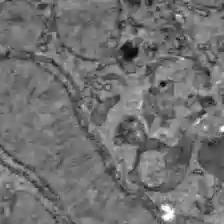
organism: C57BL Mouse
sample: Liver